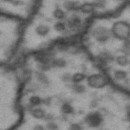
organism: Drosophila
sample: Brain